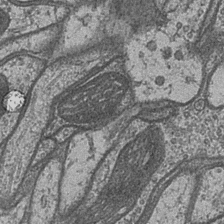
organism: Drosophila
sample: Optic medulla